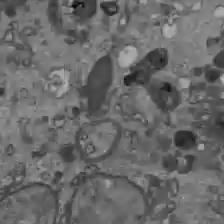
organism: C57BL Mouse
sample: Liver